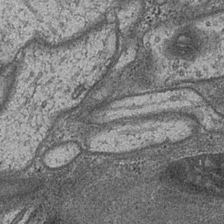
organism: Drosophila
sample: Optic medulla